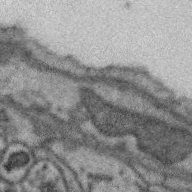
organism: Zebra finch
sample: Brain